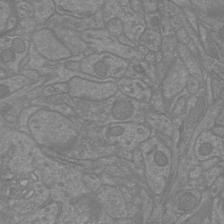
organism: Mouse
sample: Cortical neurons